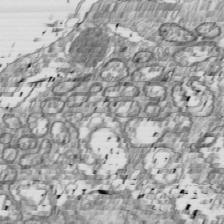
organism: Drosophila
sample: Cell division; meiosis; drosophila spermatocytes